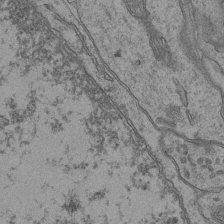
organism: Mouse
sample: CA1 Hippocampus